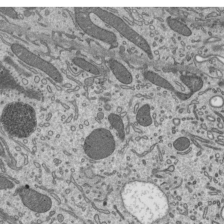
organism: Mouse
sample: Mouse epididymis efferent ductule cilia